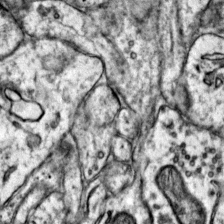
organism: Mouse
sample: Primary visual cortex